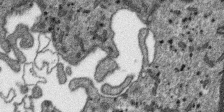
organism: Human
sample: Lung epithelial cells infected with SARS-CoV-2